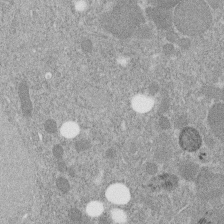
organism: C. elegans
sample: C. elegans embryo early stage